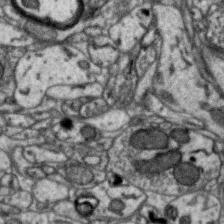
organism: Zebra finch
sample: Brain